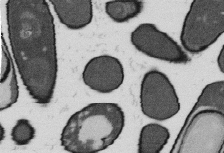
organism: B. subtilis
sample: Bacterial spore